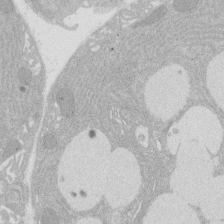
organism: Rat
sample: Salivary granule